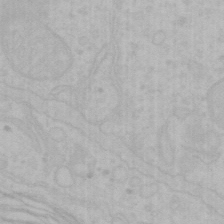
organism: Mouse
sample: Choroid plexus